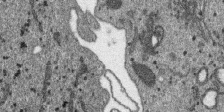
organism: Human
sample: Lung epithelial cells infected with SARS-CoV-2